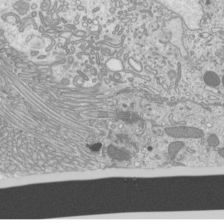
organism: Mouse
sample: Cilia; mouse epididymis